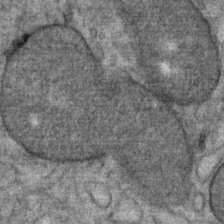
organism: Mouse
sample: Mouse Salivary gland